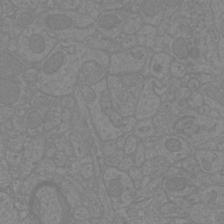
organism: Mouse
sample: Cortical neurons